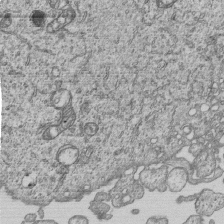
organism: Human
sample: MDA-MB-231 cells